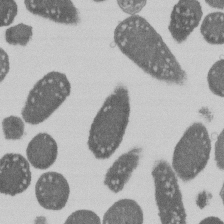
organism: E. coli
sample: Bacterial nucleoid